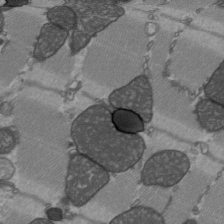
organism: C57BL Mouse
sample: Heart